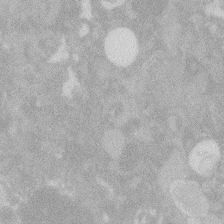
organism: Zebrafish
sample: Macrophage